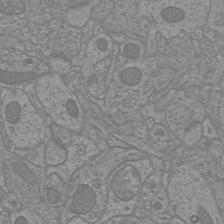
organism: Mouse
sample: Cortical neurons